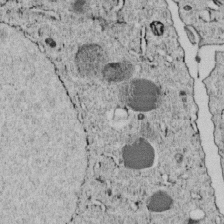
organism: C. elegans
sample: C. elegans embryo early stage